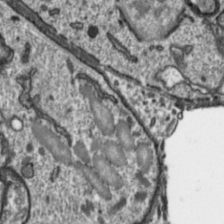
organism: Toxoplasma gondii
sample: Parasites in a vacuole inside a host cell